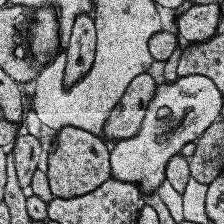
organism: Human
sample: Temporal Lobe